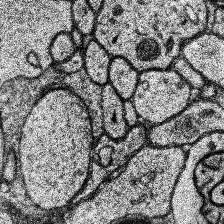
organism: Human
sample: Temporal Lobe